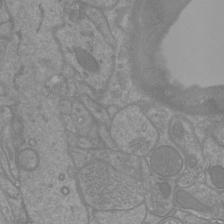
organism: Mouse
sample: Cortical neurons